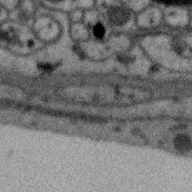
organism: Zebra finch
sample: Brain